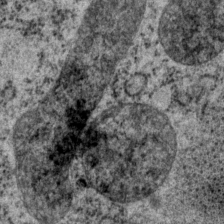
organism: P. pacificus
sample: Pharynx